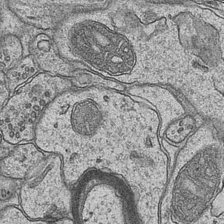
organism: Mouse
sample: CA1 Hippocampus